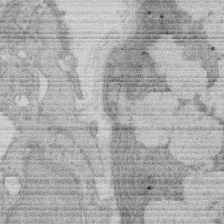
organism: Rat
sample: Salivary granule